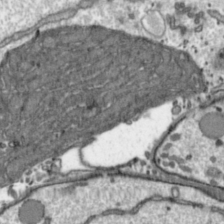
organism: Toxoplasma gondii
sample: Parasites in a vacuole inside a host cell